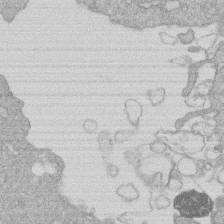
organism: Human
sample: Macrophage cells